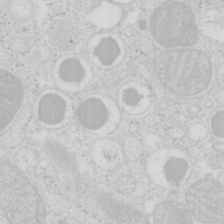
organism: Mouse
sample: Pancreas